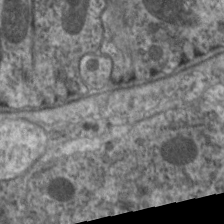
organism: C. elegans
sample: Pharynx